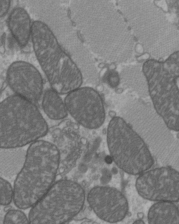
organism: C57BL Mouse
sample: Heart